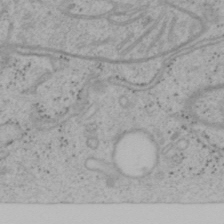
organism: Human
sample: HeLa cells